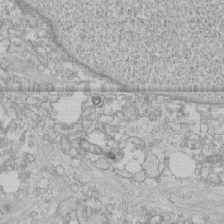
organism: Human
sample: CRL-1474